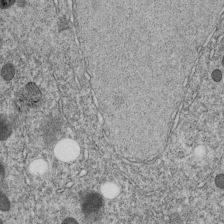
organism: C. elegans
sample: C. elegans embryo early stage